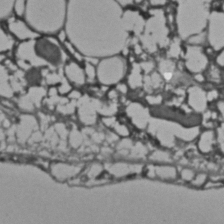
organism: C. elegans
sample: C. elegans embryo